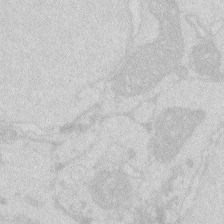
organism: Zebrafish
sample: Macrophage